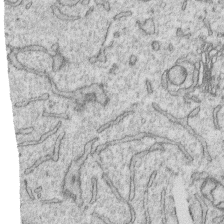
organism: Human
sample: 1205lu cells